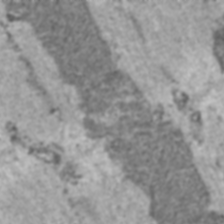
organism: C57BL Mouse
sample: Heart